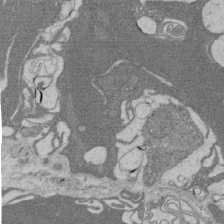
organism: Rat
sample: Salivary granule